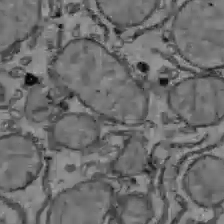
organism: C57BL Mouse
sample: Liver